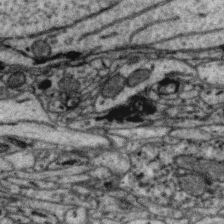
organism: Zebra finch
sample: Brain